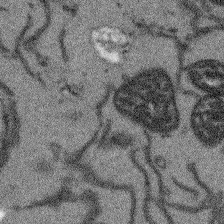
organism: Arabidopsis thaliana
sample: Root tip